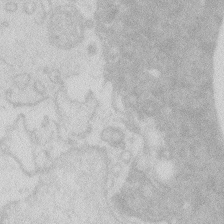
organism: Zebrafish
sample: Macrophage